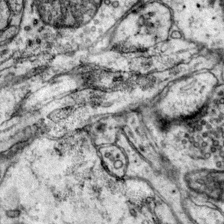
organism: Mouse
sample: Primary visual cortex